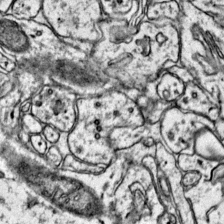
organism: Mouse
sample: Primary visual cortex